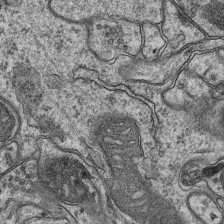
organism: Mouse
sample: CA1 Hippocampus